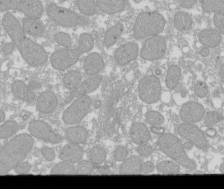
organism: Xenopus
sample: Cilia; centrioles in frog embryo cells